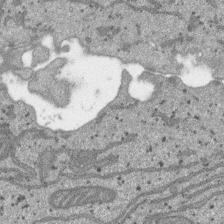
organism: Human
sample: Lung epithelial cells infected with SARS-CoV-2